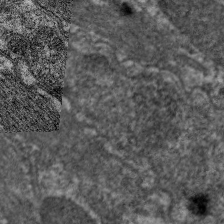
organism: C. elegans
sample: Pharynx